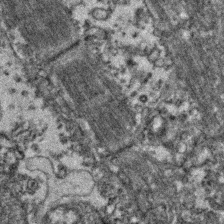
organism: Zebrafish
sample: Zebrafish embryo